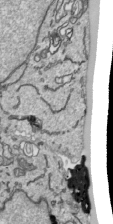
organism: Human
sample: Mitochondria in HCT116 cells